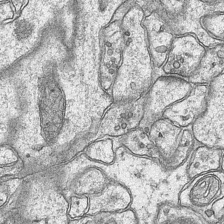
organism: Mouse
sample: CA1 Hippocampus